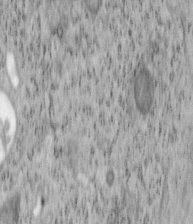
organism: Human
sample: HeLa cells